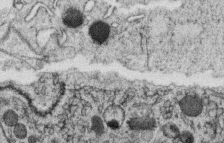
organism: C. elegans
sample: C. elegans oocyte; sperm cells